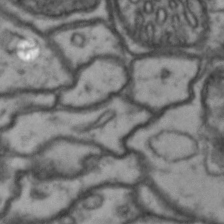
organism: Drosophila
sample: Brain